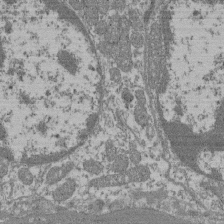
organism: Mouse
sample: Glomerulus